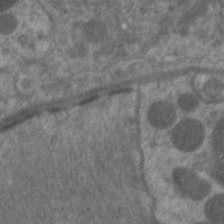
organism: C. elegans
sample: Pharynx